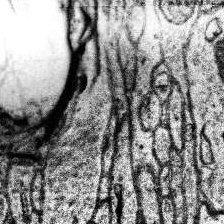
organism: Human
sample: Temporal Lobe